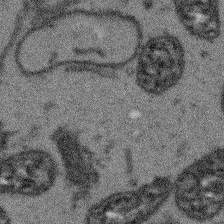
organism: Arabidopsis thaliana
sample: Root tip